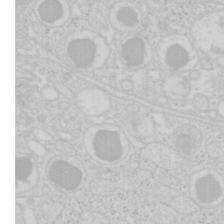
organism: Mouse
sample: Pancreas